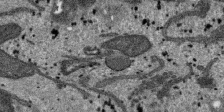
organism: Human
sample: Lung epithelial cells, uninfected (mock) control